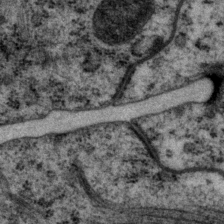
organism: P. pacificus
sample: Pharynx